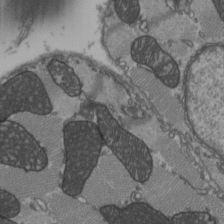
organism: C57BL Mouse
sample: Heart